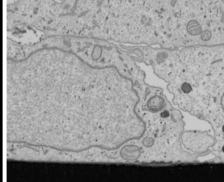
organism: Human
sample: Mitochondria in U2OS cells